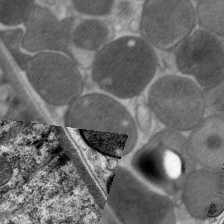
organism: C. elegans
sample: Pharynx